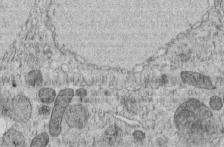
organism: C. elegans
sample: C. elegans embryo early stage